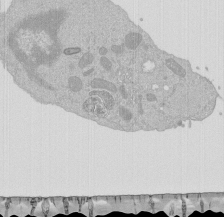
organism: Mouse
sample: Activated Pmel transgenic CD8+ T Cells